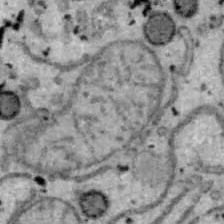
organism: Mouse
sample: Liver from an obese (ob/ob) mouse